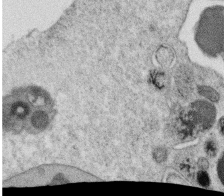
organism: C. elegans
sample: C. elegans oocyte; sperm cells